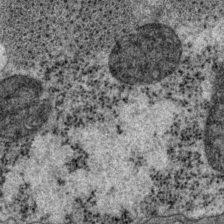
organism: P. pacificus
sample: Pharynx